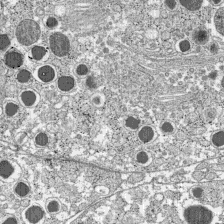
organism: C57BL Mouse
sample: Pancreatic islet